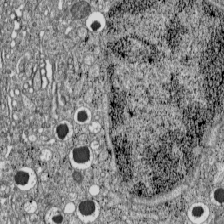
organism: C57BL Mouse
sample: Pancreatic islet